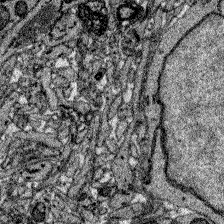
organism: Zebrafish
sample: Larval olfactory bulb